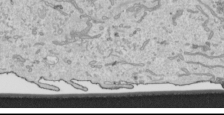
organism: Human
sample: Mitochondria in HCT116 cells